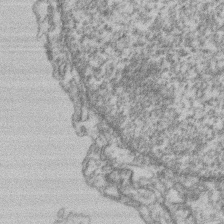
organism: Mouse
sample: T cell stromal cell synapse